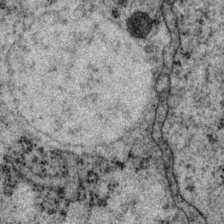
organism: P. pacificus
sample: Pharynx